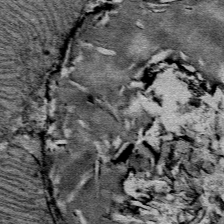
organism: Mouse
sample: Mouse Salivary gland